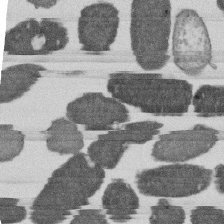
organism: E. coli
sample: Bacterial nucleoid